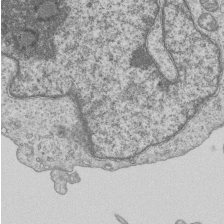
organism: Human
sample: MDA-MB-231 cells